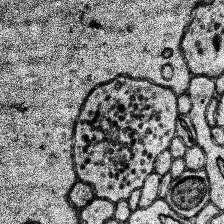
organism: Human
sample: Temporal Lobe